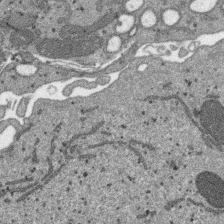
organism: Human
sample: Lung epithelial cells infected with SARS-CoV-2